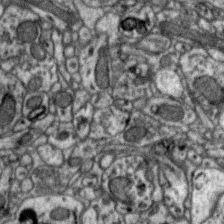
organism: Zebra finch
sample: Brain